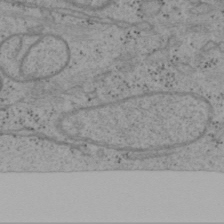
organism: Human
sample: HeLa cells